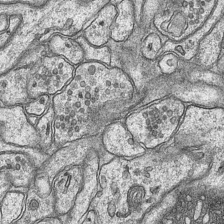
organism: Mouse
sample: CA1 Hippocampus